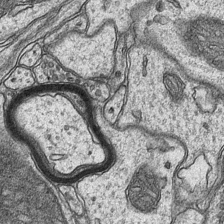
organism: Mouse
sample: CA1 Hippocampus